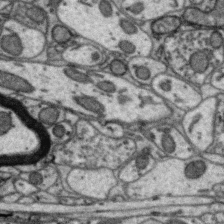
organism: Zebra finch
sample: Brain